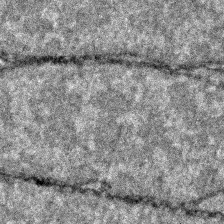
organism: Zebrafish